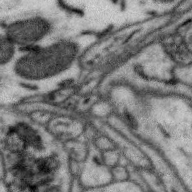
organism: Zebra finch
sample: Brain